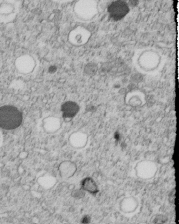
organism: C. elegans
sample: C. elegans embryo early stage